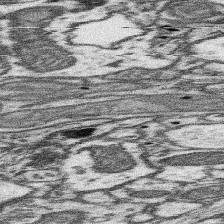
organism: Mouse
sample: Somatosensory cortex neuropil